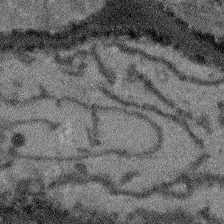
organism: Arabidopsis thaliana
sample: Root tip